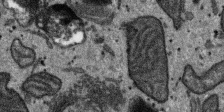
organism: Human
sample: Lung epithelial cells, uninfected (mock) control